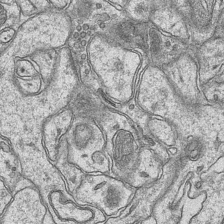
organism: Mouse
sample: CA1 Hippocampus